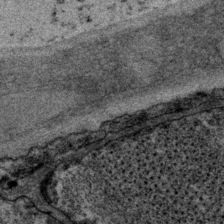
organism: P. pacificus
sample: Pharynx